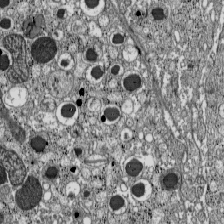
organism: C57BL Mouse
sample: Pancreatic islet